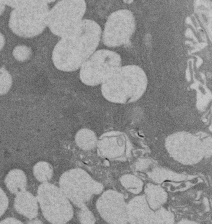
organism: Rat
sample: Salivary granule